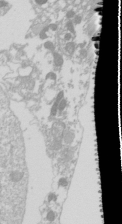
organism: Drosophila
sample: Cell division; meiosis; drosophila spermatocytes